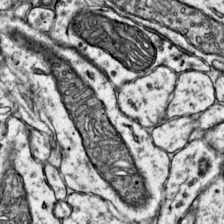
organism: Mouse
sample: Primary visual cortex